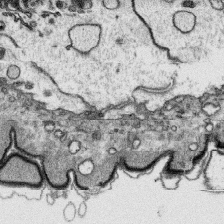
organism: Platynereis dumerilii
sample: Parapodia